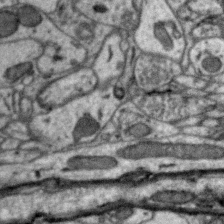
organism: Zebra finch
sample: Brain